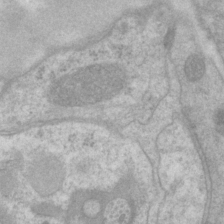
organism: P. pacificus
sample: Pharynx